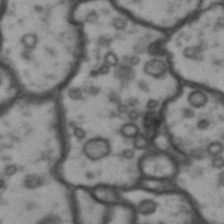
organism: Drosophila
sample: Brain